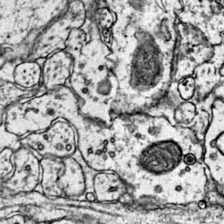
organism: Mouse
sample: Primary visual cortex